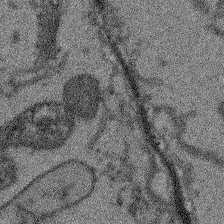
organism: Arabidopsis thaliana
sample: Root tip